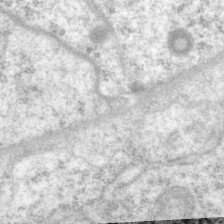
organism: P. pacificus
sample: Pharynx